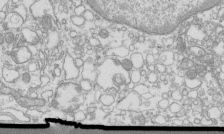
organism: Mouse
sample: Macrophages